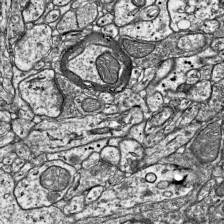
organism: Mouse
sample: Visual Cortex